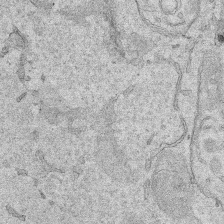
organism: Human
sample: Mitochondria in HCT116 cells